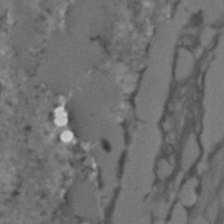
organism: C. elegans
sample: C. elegans embryo